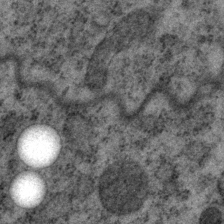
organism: P. pacificus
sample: Pharynx